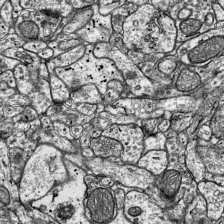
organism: Mouse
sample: Visual Cortex